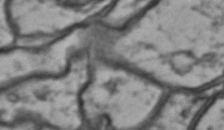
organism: Drosophila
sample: Brain